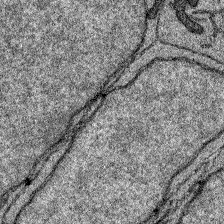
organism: Zebrafish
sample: Larval olfactory bulb